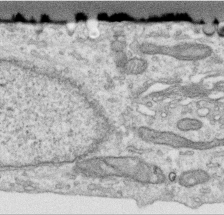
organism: Human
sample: Centriole in RPE cells